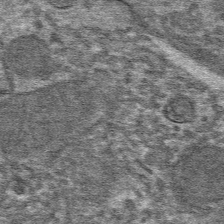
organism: Mouse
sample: Mouse hepatocytes